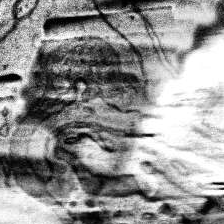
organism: Human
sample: Temporal Lobe